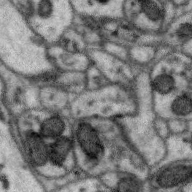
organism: Zebra finch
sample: Brain